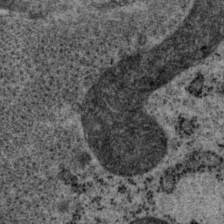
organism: P. pacificus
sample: Pharynx